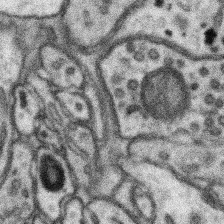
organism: Mouse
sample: Somatosensory cortex neuropil